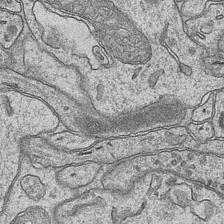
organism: Mouse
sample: CA1 Hippocampus